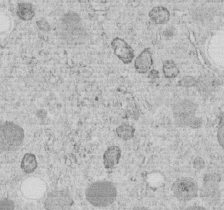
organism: C. elegans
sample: C. elegans embryo early stage